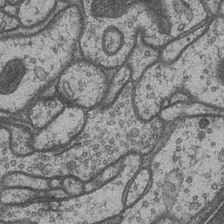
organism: Drosophila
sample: Optic medulla